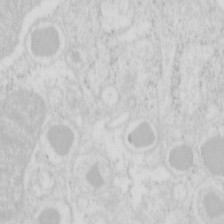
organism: Mouse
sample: Pancreas